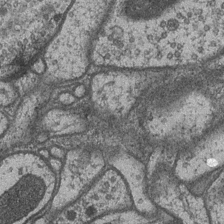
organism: Drosophila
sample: Optic medulla